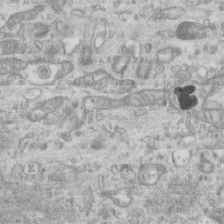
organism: Mouse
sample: Centriole in ependymal cells